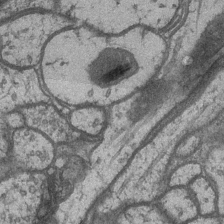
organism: Drosophila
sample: Optic medulla